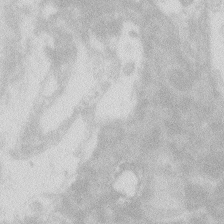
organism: Zebrafish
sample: Macrophage